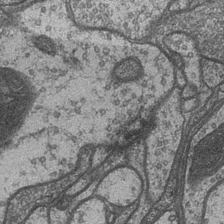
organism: Drosophila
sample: Optic medulla